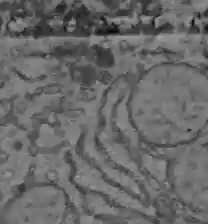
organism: C57BL Mouse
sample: Liver